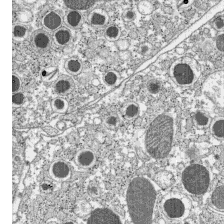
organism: C57BL Mouse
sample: Pancreatic islet